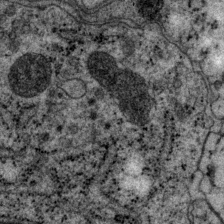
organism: P. pacificus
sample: Pharynx